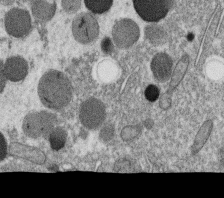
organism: C. elegans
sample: C. elegans oocyte; sperm cells